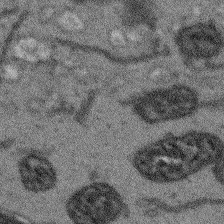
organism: Arabidopsis thaliana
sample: Root tip